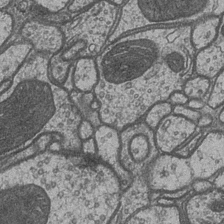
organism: Drosophila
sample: Optic medulla